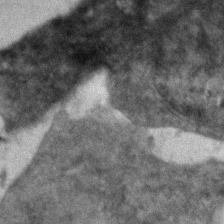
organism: Zebrafish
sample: Zebrafish embryo